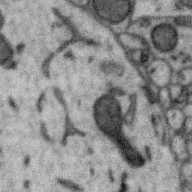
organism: Zebra finch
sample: Brain